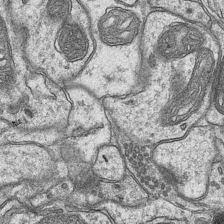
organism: Mouse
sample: CA1 Hippocampus